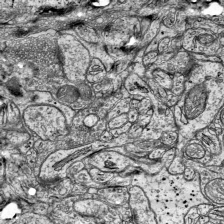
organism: Mouse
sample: Visual Cortex